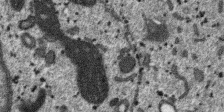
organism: Human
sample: Lung epithelial cells infected with SARS-CoV-2